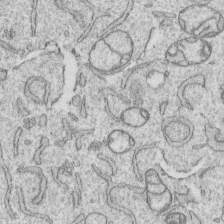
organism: Human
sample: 1205lu cells